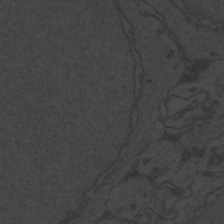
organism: Zebrafish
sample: Macrophage infected with Toxoplasma gondii